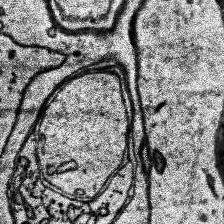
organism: Human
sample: Temporal Lobe